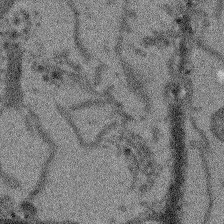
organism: Arabidopsis thaliana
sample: Root tip